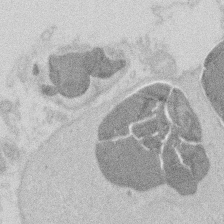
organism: Mouse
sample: T cell stromal cell synapse